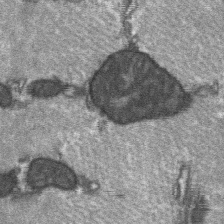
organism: C57BL Mouse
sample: Soleus